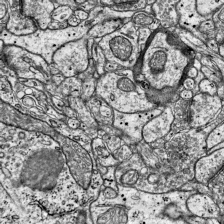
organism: Mouse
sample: Visual Cortex